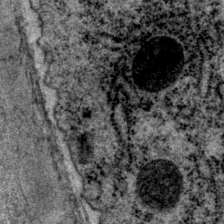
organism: P. pacificus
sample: Pharynx